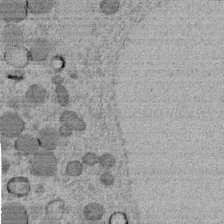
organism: C. elegans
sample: C. elegans embryo early stage